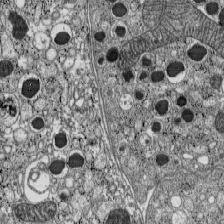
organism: C57BL Mouse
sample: Pancreatic islet